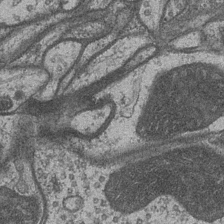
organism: Drosophila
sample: Optic medulla